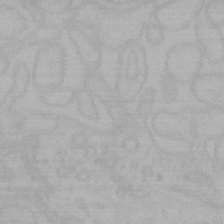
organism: Mouse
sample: Choroid plexus